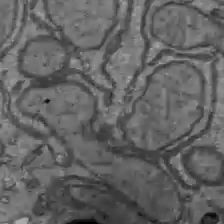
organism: C57BL Mouse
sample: Liver